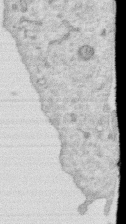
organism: Human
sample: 1205lu cells